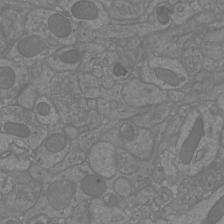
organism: Mouse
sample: Cortical neurons